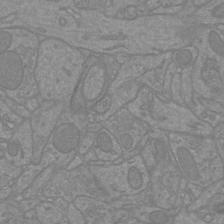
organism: Mouse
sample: Cortical neurons